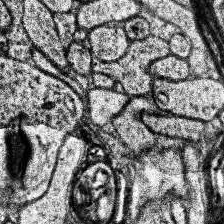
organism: Human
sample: Temporal Lobe